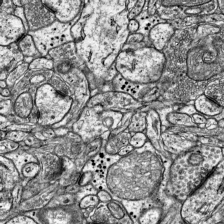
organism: Mouse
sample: Visual Cortex